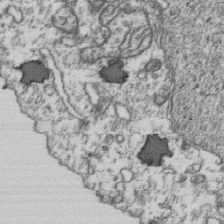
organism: Human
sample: Activated Jurkat CD4+ T cells